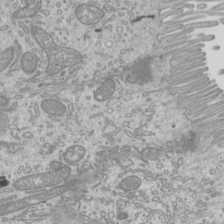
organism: Mouse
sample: Cilia; mouse epididymis